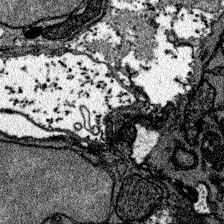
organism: Zebrafish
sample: Larval olfactory bulb